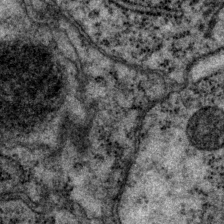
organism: P. pacificus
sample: Pharynx